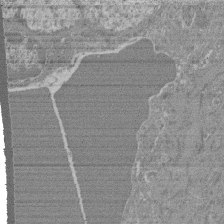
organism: Mouse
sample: Glomerulus